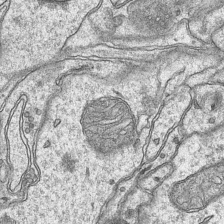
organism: Mouse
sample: CA1 Hippocampus